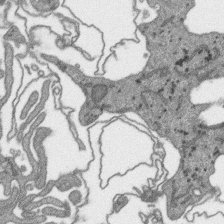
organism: Human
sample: Lung epithelial cells infected with SARS-CoV-2